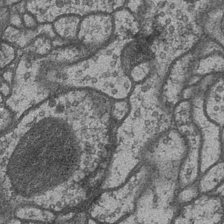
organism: Drosophila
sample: Optic medulla